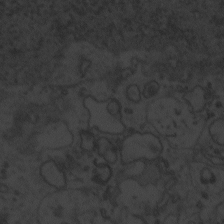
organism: Zebrafish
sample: Macrophage infected with Toxoplasma gondii